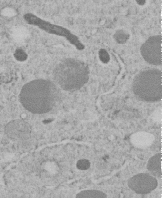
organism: C. elegans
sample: C. elegans embryo early stage